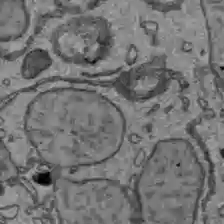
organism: C57BL Mouse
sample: Liver